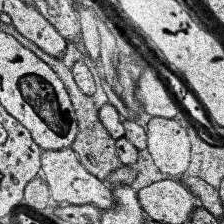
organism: Human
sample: Temporal Lobe